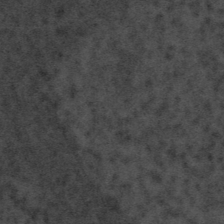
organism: Tuwongella immobilis